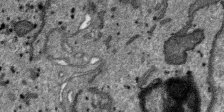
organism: Human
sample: Lung epithelial cells, uninfected (mock) control